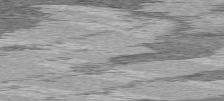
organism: C57BL Mouse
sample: Heart